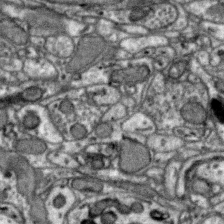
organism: Zebra finch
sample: Brain